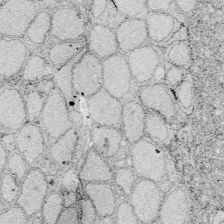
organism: Zebrafish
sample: Whole-Brain